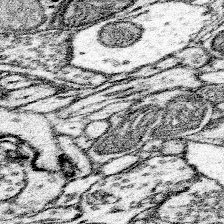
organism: Mouse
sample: Somatosensory cortex neuropil